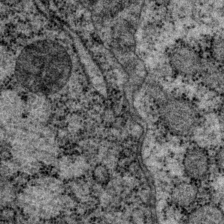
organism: P. pacificus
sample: Pharynx